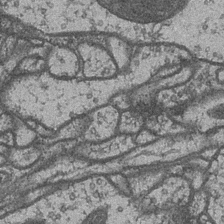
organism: Drosophila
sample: Optic medulla